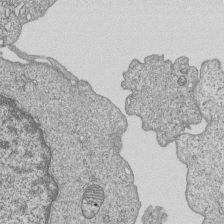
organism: Human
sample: MDA-MB-231 cells